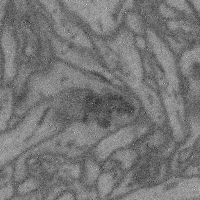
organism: Mouse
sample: Cerebral cortex